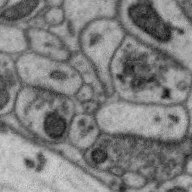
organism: Zebra finch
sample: Brain